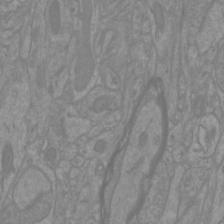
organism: Mouse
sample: Cortical neurons